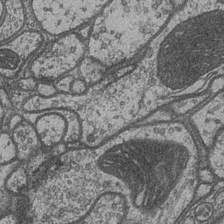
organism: Drosophila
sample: Optic medulla